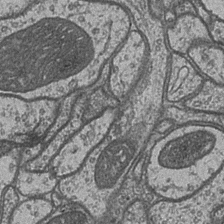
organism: Drosophila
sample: Optic medulla